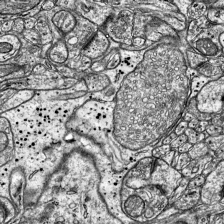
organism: Mouse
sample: Visual Cortex